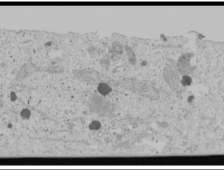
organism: Human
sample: Mitochondria in U2OS cells